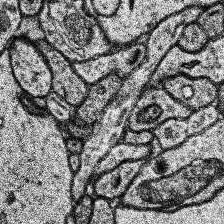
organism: Human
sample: Temporal Lobe